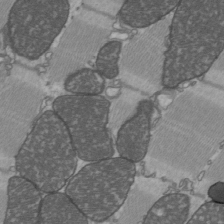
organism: C57BL Mouse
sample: Heart